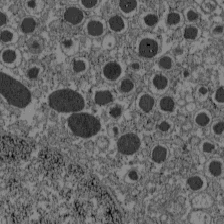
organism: C57BL Mouse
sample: Pancreatic islet